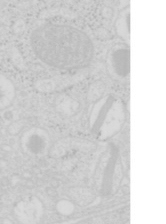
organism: Mouse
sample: Pancreas